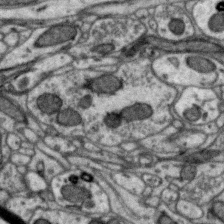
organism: Zebra finch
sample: Brain